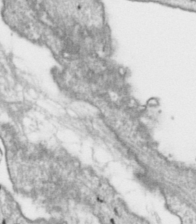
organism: Toxoplasma gondii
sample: Parasites in a vacuole inside a host cell